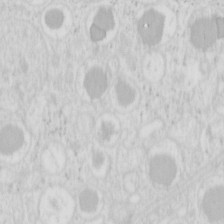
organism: Mouse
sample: Pancreas